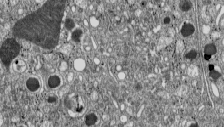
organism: C57BL Mouse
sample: Pancreatic islet